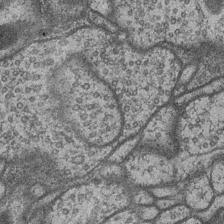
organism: Drosophila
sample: Optic medulla